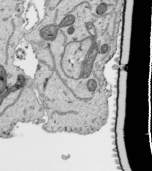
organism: Human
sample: Mitochondria in HCT116 cells